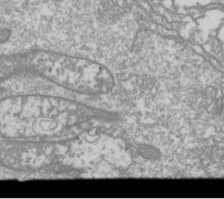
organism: Drosophila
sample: Cell division; meiosis; drosophila spermatocytes